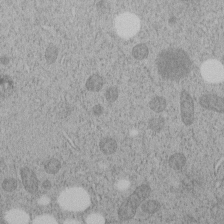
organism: C. elegans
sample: C. elegans embryo early stage